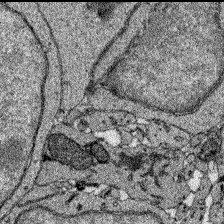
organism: Zebrafish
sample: Larval olfactory bulb